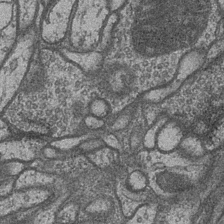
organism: Drosophila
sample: Optic medulla